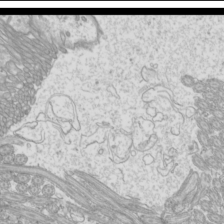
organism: Mouse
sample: Cilia; mouse epididymis